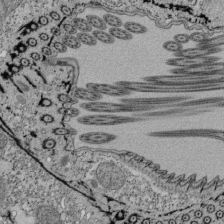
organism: Tetrahymena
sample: Cilia in tetrahymena